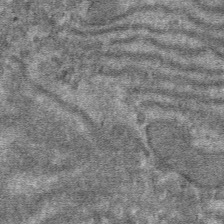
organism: Mouse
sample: Mouse hepatocytes